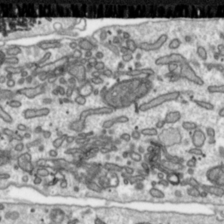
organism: Toxoplasma gondii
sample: Parasites in a vacuole inside a host cell